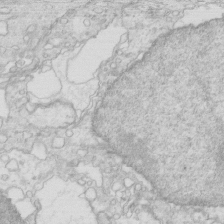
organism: Mouse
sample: Multiciliated cells